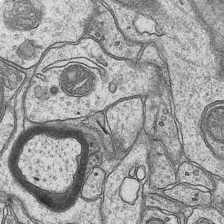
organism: Mouse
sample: CA1 Hippocampus